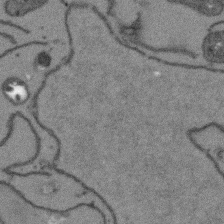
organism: Arabidopsis thaliana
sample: Root tip